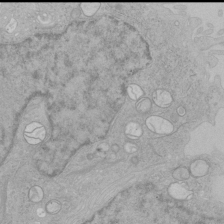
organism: Human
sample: Mitochondria in HCT116 cells